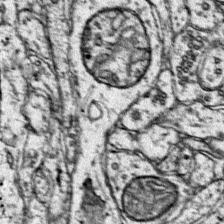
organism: Mouse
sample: Primary visual cortex